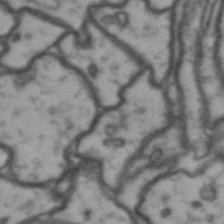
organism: Drosophila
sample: Brain